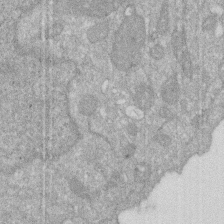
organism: Human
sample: HIV infected U937 cells